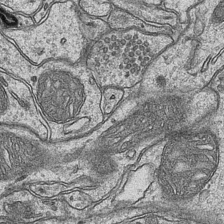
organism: Mouse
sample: CA1 Hippocampus